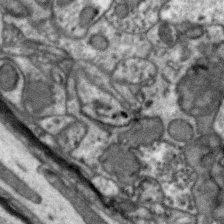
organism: Zebra finch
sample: Brain